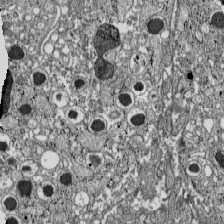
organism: C57BL Mouse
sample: Pancreatic islet